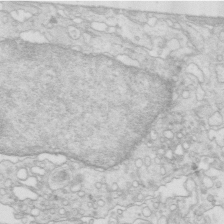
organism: Mouse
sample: Multiciliated cells